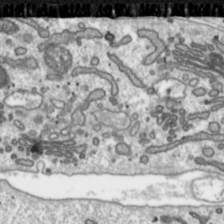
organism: Toxoplasma gondii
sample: Parasites in a vacuole inside a host cell